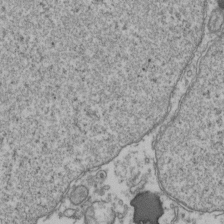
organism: Human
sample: Activated Jurkat CD4+ T cells